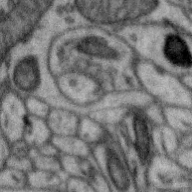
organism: Zebra finch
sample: Brain